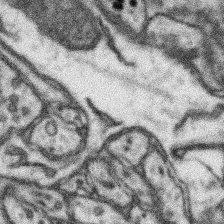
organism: Mouse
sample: Somatosensory cortex neuropil